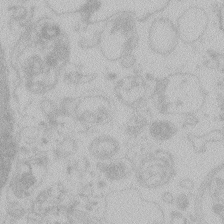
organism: Zebrafish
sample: Macrophage infected with Toxoplasma gondii